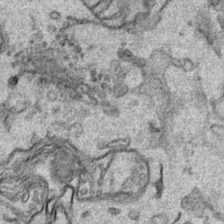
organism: Human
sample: Mitochondria in HCT116 cells